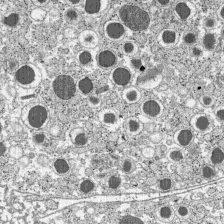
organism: C57BL Mouse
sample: Pancreatic islet